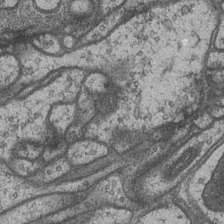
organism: Drosophila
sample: Optic medulla